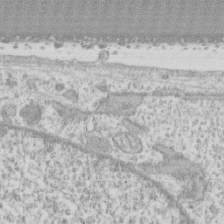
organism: Human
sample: CRL-1474